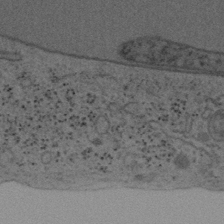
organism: Human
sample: HeLa cells